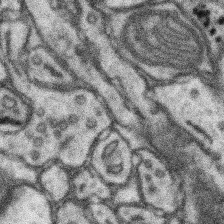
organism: Mouse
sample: Somatosensory cortex neuropil